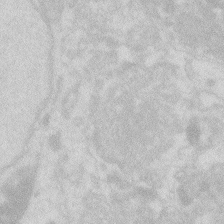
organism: Zebrafish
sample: Macrophage